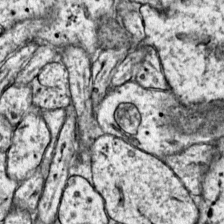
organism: Mouse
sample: Primary visual cortex